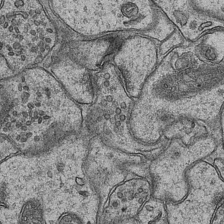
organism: Mouse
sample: CA1 Hippocampus